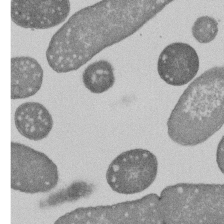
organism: E. coli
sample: Bacterial nucleoid